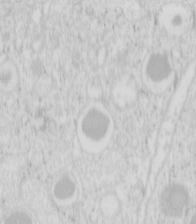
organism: Mouse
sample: Pancreas